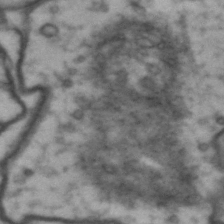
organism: Drosophila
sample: Brain